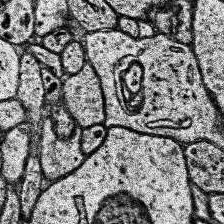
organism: Human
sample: Temporal Lobe